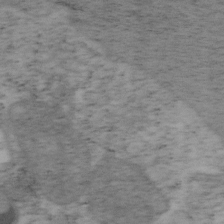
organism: Mouse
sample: OT-I killer T cells with ID8 ovarian cancer cells